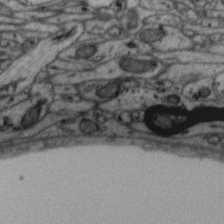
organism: Zebra finch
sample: Brain